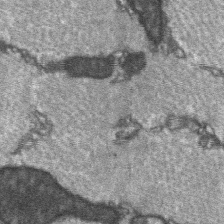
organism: C57BL Mouse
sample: Soleus